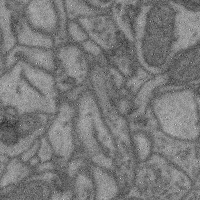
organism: Mouse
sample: Cerebral cortex